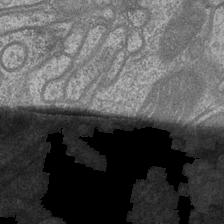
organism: Drosophila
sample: Optic medulla